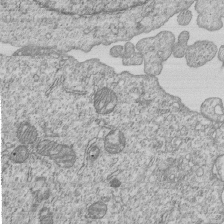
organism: Human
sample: MDA-MB-231 cells